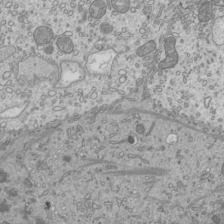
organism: Mouse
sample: Cilia; mouse epididymis